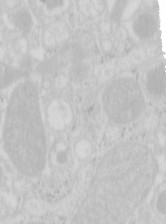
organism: Mouse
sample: Pancreas